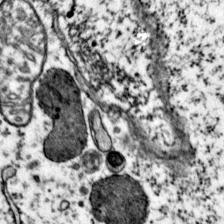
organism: Mouse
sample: Primary visual cortex